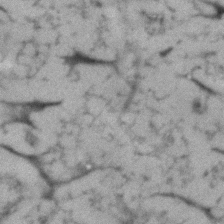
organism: Human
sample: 1205lu cells